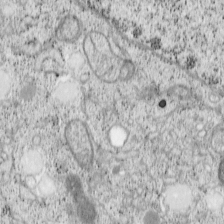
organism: African green monkey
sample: COS-7 cells